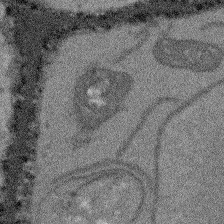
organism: Arabidopsis thaliana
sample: Root tip